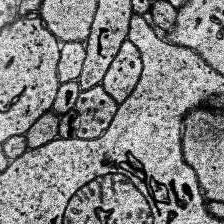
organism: Human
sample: Temporal Lobe